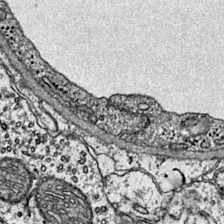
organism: Mouse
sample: Primary visual cortex